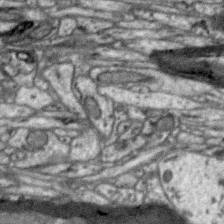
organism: Zebra finch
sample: Brain